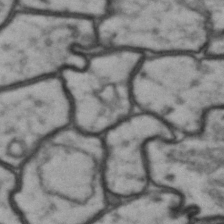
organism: Drosophila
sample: Brain